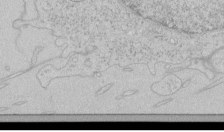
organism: Human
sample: Mitochondria in HCT116 cells